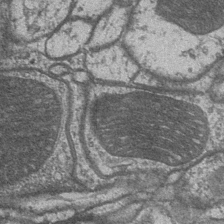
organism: Drosophila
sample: Optic medulla